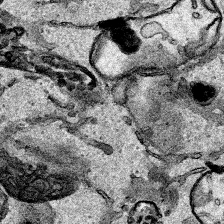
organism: Human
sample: Mitochondria in HCT116 cells